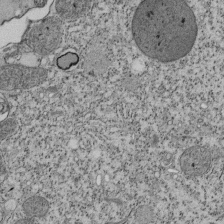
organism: Tetrahymena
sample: Cilia in tetrahymena